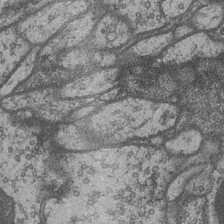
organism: Drosophila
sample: Optic medulla